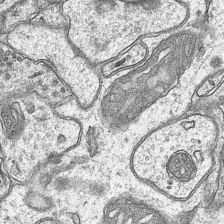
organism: Mouse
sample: CA1 Hippocampus